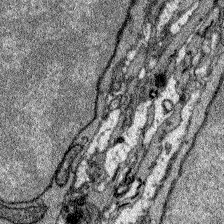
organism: Zebrafish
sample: Larval olfactory bulb